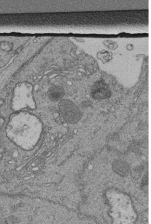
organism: Human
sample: Retinal organoid Rod and Cone cells